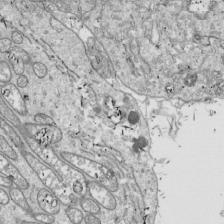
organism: Drosophila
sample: Cell division; meiosis; drosophila spermatocytes